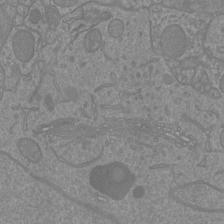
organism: Mouse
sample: Cortical neurons